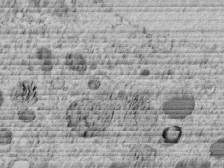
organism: C. elegans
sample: C. elegans embryo early stage